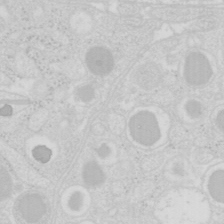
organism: Mouse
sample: Pancreas